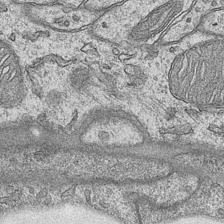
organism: Mouse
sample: CA1 Hippocampus